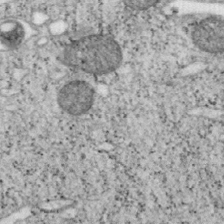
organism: Mouse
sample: OT-I killer T cells with ID8 ovarian cancer cells